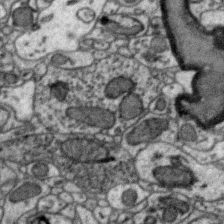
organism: Zebra finch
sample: Brain